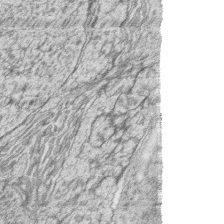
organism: Zebrafish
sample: synaptic ribbons in rod cells and cone cells